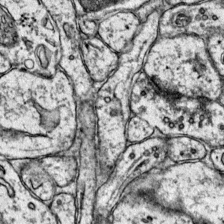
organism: Mouse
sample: Primary visual cortex